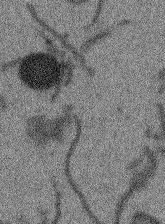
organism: Arabidopsis thaliana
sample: Root tip